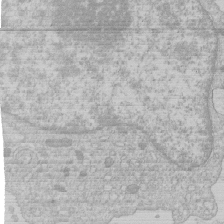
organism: Human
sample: Macrophage cells